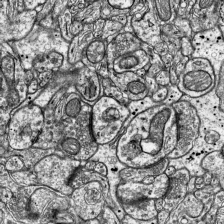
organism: Mouse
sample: Visual Cortex